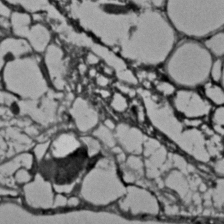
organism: C. elegans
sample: C. elegans embryo